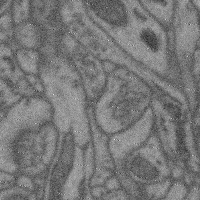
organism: Mouse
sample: Cerebral cortex